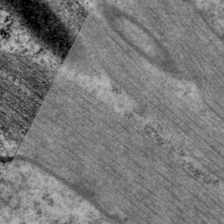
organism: P. pacificus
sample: Pharynx